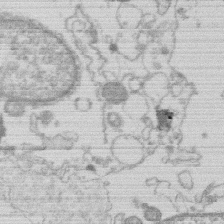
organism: Human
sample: Macrophage cells